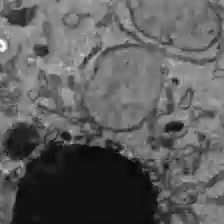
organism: C57BL Mouse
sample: Liver